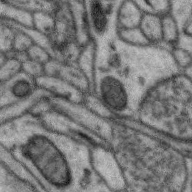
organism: Zebra finch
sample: Brain